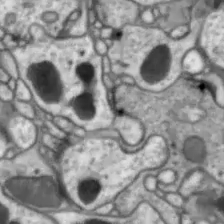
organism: Drosophila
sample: Optic lobe